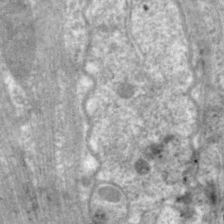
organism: C. elegans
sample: Pharynx